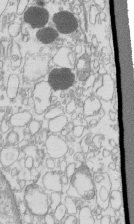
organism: Mouse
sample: Macrophages